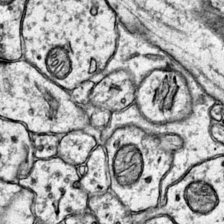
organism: Mouse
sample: Primary visual cortex